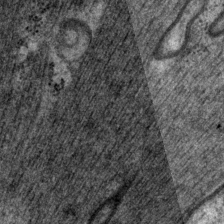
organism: P. pacificus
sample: Pharynx